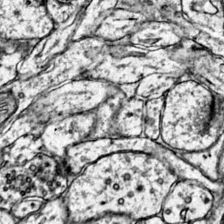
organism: Mouse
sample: Primary visual cortex